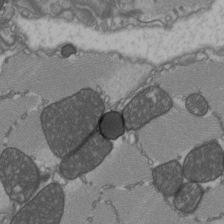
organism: C57BL Mouse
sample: Heart